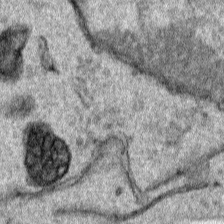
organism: Human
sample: Mitochondria in HCT116 cells